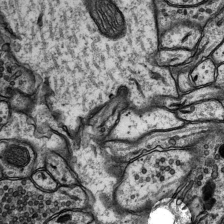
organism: Rat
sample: Hippocampus